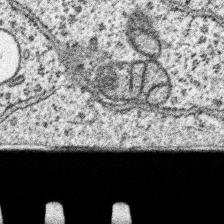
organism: Human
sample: HeLa cells